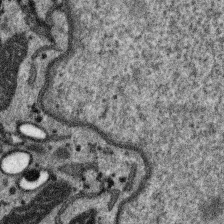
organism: Human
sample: Lung epithelial cells infected with SARS-CoV-2